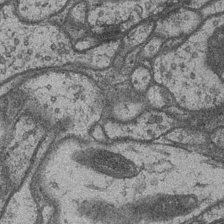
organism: Drosophila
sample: Optic medulla